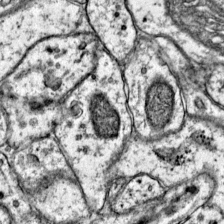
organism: Mouse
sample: Primary visual cortex